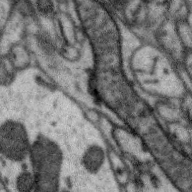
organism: Zebra finch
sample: Brain